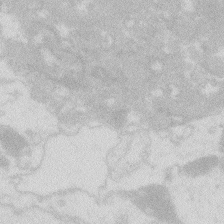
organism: Zebrafish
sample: Macrophage